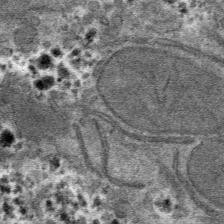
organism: Mouse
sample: Mouse hepatocytes